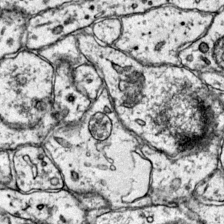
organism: Mouse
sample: Primary visual cortex